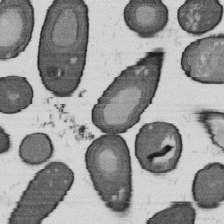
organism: B. subtilis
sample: Bacterial spore